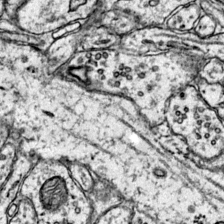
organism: Mouse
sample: Primary visual cortex